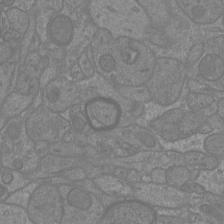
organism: Mouse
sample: Cortical neurons